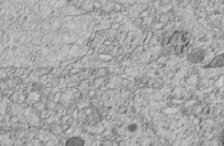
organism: C. elegans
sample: C. elegans embryo early stage